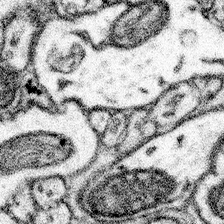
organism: Mouse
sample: Somatosensory cortex neuropil